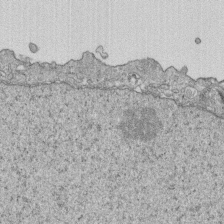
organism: Human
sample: HeLa cell HIV synapse